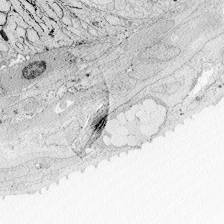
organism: Zebrafish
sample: Whole-Brain